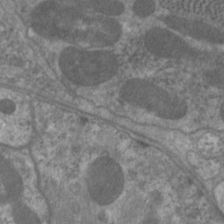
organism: C. elegans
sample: Pharynx